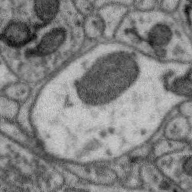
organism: Zebra finch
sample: Brain